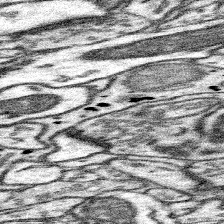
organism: Mouse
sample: Somatosensory cortex neuropil